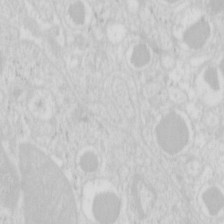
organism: Mouse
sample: Pancreas